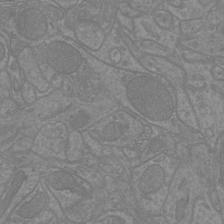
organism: Mouse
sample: Cortical neurons